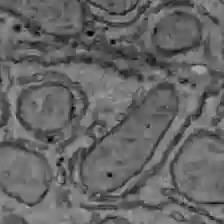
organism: C57BL Mouse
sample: Liver